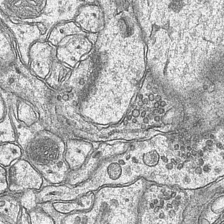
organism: Mouse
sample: CA1 Hippocampus